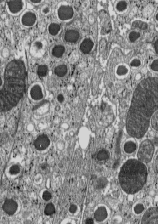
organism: C57BL Mouse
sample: Pancreatic islet